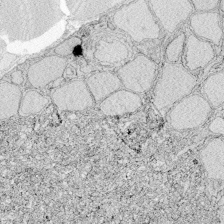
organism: Zebrafish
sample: Whole-Brain